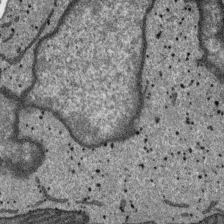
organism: Human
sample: Lung epithelial cells, uninfected (mock) control